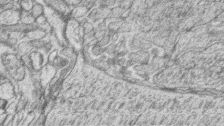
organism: Zebrafish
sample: synaptic ribbons in rod cells and cone cells